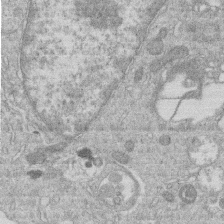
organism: Human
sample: Macrophage cells